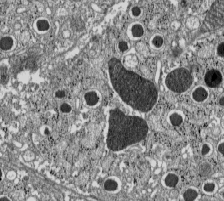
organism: C57BL Mouse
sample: Pancreatic islet